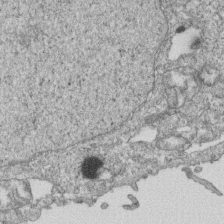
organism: Human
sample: HeLa cell HIV synapse